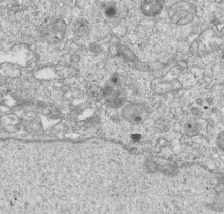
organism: Human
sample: HeLa cell HIV synapse